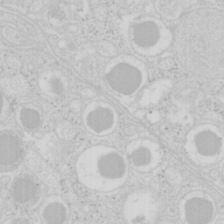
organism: Mouse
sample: Pancreas